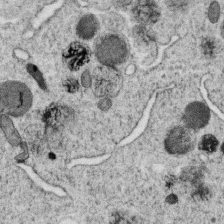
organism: C. elegans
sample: C. elegans oocyte; sperm cells